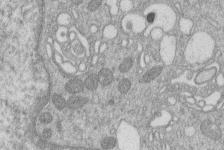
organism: Human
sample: Macrophage cells